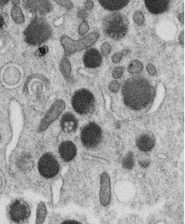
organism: C. elegans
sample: C. elegans oocyte; sperm cells